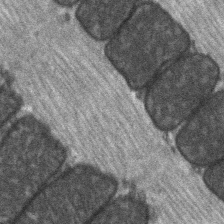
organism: C57BL Mouse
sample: Soleus